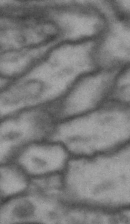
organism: Drosophila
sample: Brain